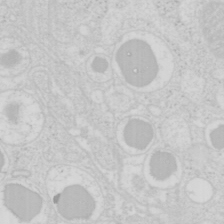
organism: Mouse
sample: Pancreas